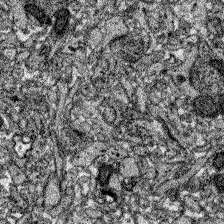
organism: Zebrafish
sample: Larval olfactory bulb